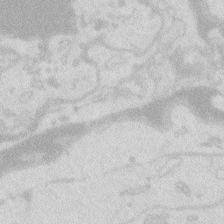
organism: Zebrafish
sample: Macrophage